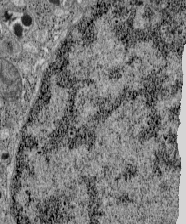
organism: C57BL Mouse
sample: Pancreatic islet